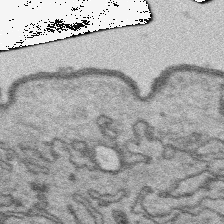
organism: Platynereis dumerilii